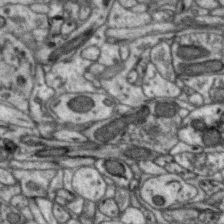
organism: Zebra finch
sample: Brain